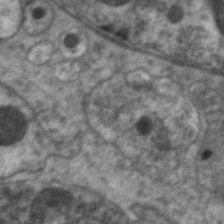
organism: C. elegans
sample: Pharynx